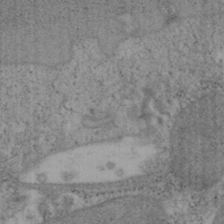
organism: Mouse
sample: OT-I killer T cells with ID8 ovarian cancer cells